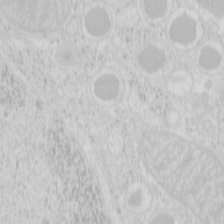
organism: Mouse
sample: Pancreas